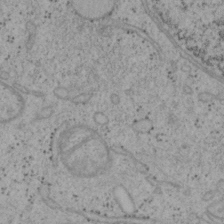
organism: Human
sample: HeLa cells